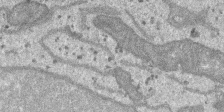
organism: Human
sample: Lung epithelial cells infected with SARS-CoV-2